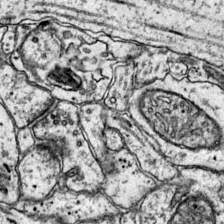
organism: Mouse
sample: Primary visual cortex